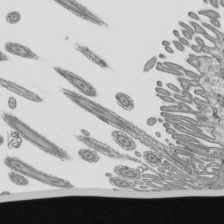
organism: Mouse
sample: Mouse epididymis efferent ductule cilia